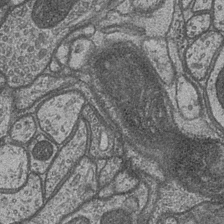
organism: Drosophila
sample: Optic medulla